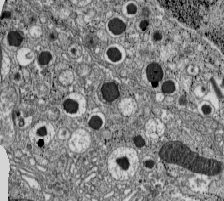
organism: C57BL Mouse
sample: Pancreatic islet